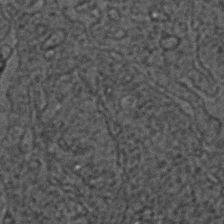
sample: Trachea